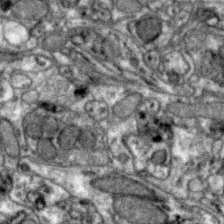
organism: Zebra finch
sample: Brain